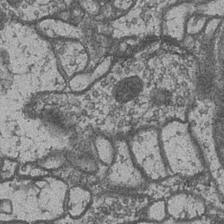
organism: Drosophila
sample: Optic medulla